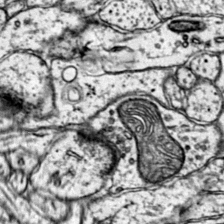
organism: Mouse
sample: Primary visual cortex